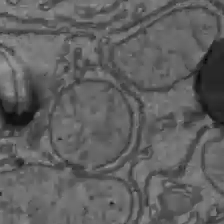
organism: C57BL Mouse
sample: Liver